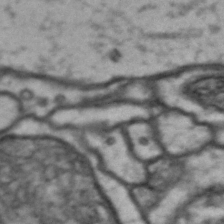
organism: Drosophila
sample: Brain